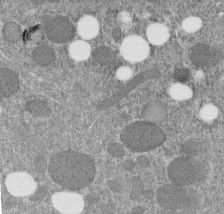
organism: C. elegans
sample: C. elegans embryo early stage